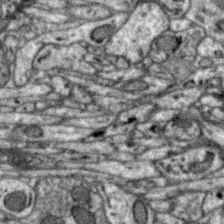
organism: Zebra finch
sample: Brain